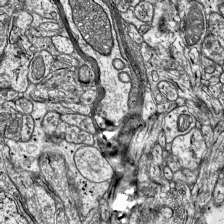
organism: Mouse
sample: Visual Cortex